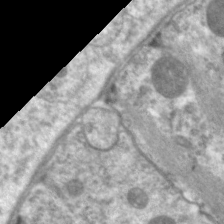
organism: C. elegans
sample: Pharynx